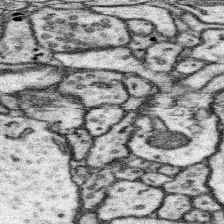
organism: Mouse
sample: Somatosensory cortex neuropil